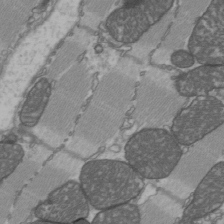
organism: C57BL Mouse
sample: Heart